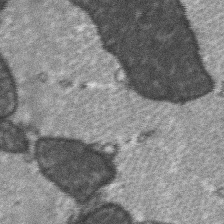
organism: C57BL Mouse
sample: Soleus